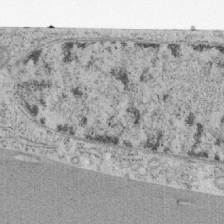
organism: Human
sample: HeLa cells